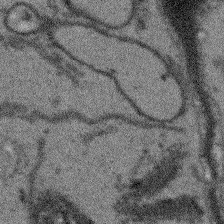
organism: Arabidopsis thaliana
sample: Root tip